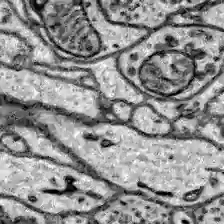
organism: Zebrafish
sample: Brain